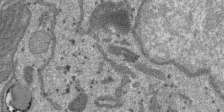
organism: Human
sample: Lung epithelial cells infected with SARS-CoV-2